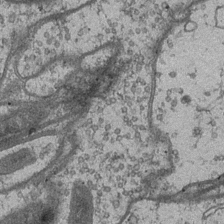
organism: Drosophila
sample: Optic medulla